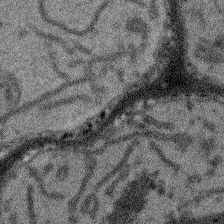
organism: Arabidopsis thaliana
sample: Root tip